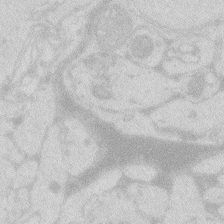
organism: Zebrafish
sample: Macrophage